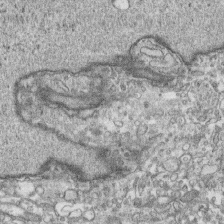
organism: Human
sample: CRL-1474